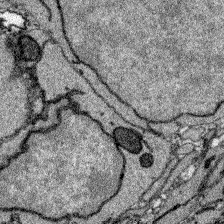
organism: Zebrafish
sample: Larval olfactory bulb